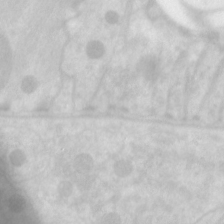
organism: C. elegans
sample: Pharynx